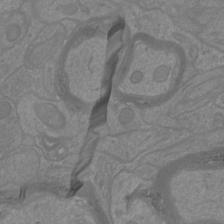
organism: Mouse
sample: Cortical neurons